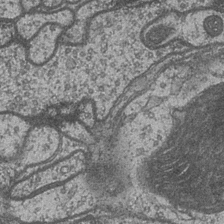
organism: Drosophila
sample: Optic medulla